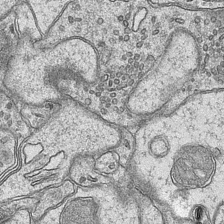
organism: Mouse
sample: CA1 Hippocampus